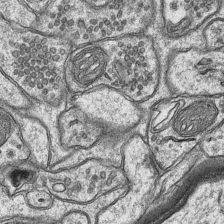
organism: Mouse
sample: CA1 Hippocampus